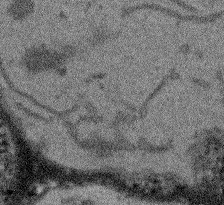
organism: Arabidopsis thaliana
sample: Root tip